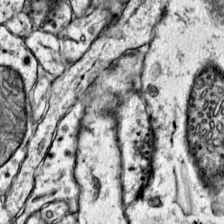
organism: Mouse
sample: Primary visual cortex